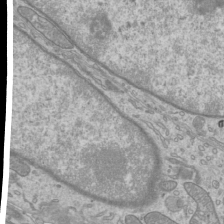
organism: Mouse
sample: Cilia; mouse epididymis